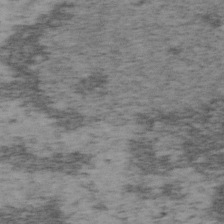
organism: Mouse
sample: OT-I killer T cells with ID8 ovarian cancer cells